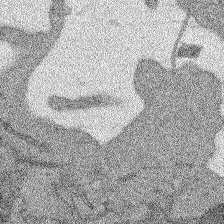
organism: Human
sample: HeLa cells